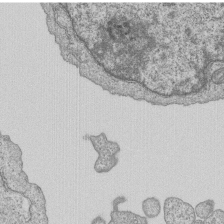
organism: Human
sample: MDA-MB-231 cells